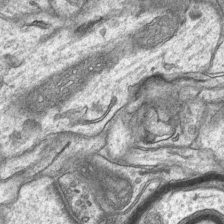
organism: Mouse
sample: CA1 Hippocampus